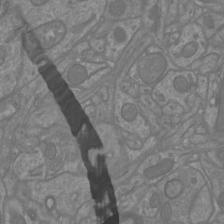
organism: Mouse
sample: Cortical neurons